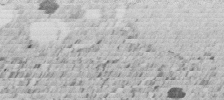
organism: C. elegans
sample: C. elegans embryo early stage